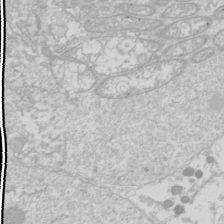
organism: Drosophila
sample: Cell division; meiosis; drosophila spermatocytes